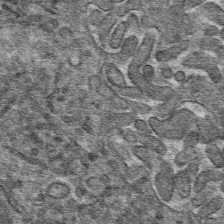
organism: Mouse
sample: Mouse hepatocytes